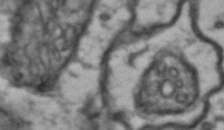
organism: Drosophila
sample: Brain